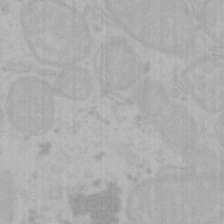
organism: Mouse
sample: Choroid plexus